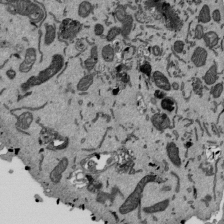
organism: Mouse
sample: ED-1 cell nuclei; centrioles